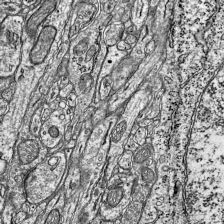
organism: Mouse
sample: Visual Cortex